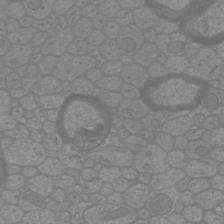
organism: Mouse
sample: Cortical neurons